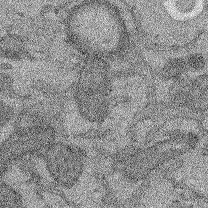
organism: Human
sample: HeLa cells